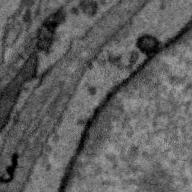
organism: Zebra finch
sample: Brain